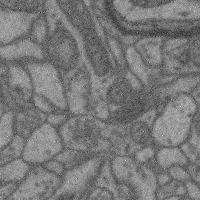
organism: Mouse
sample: Cerebral cortex